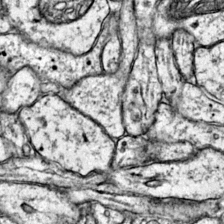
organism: Mouse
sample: Primary visual cortex